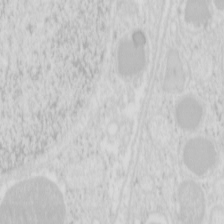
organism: Mouse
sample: Pancreas